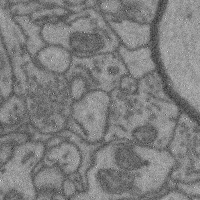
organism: Mouse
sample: Cerebral cortex